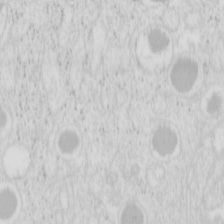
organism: Mouse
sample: Pancreas